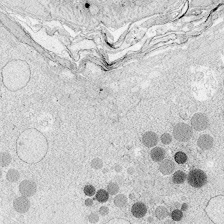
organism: Zebrafish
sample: Whole-Brain